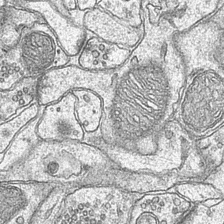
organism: Mouse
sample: CA1 Hippocampus